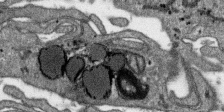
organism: Human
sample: Lung epithelial cells, uninfected (mock) control